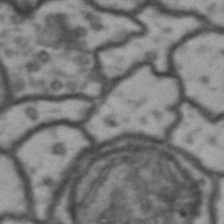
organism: Drosophila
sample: Brain